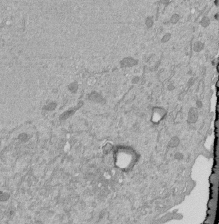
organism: Mouse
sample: ED-1 cell nuclei; centrioles